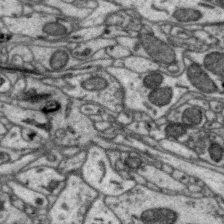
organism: Zebra finch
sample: Brain